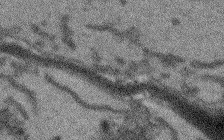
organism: Arabidopsis thaliana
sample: Root tip